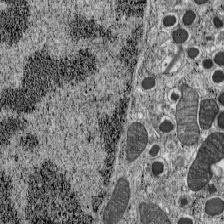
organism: C57BL Mouse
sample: Pancreatic islet